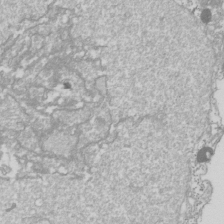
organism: Drosophila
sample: Cell division; meiosis; drosophila spermatocytes